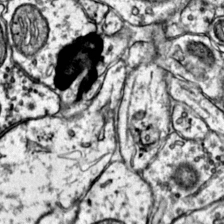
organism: Mouse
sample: Primary visual cortex